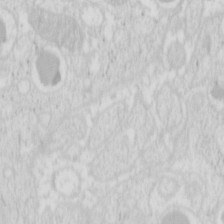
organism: Mouse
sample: Pancreas